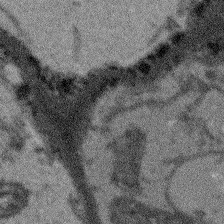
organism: Arabidopsis thaliana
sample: Root tip